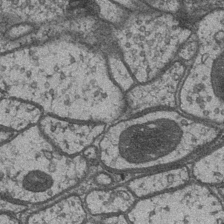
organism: Drosophila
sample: Optic medulla